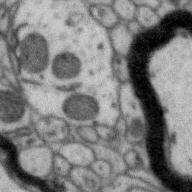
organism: Zebra finch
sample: Brain